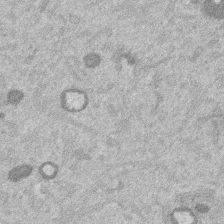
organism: Mouse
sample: Dividing mouse embryo 1 cell stage